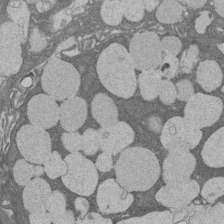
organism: Rat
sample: Salivary granule